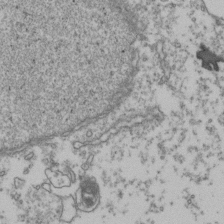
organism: Human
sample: Activated Jurkat CD4+ T cells